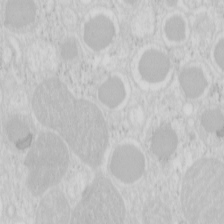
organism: Mouse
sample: Pancreas